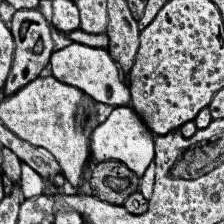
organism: Human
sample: Temporal Lobe